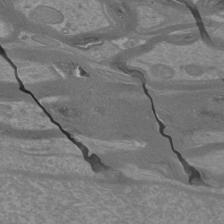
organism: Mouse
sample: Cortical neurons